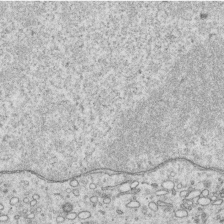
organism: Human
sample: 1205lu cells